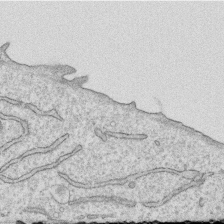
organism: Human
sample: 1205lu cells